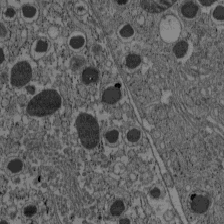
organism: C57BL Mouse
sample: Pancreatic islet